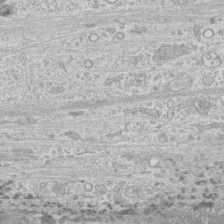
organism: Human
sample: CRL-1474